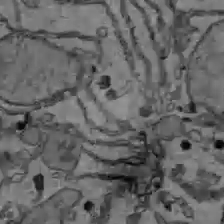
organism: C57BL Mouse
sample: Liver